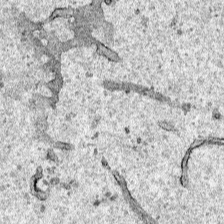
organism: Human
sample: Mitochondria in HCT116 cells